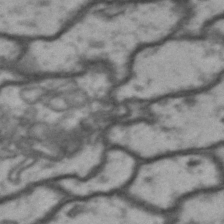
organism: Drosophila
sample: Brain